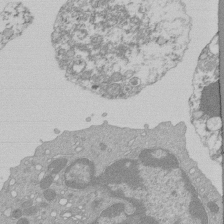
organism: Mouse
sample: Activated Pmel transgenic CD8+ T Cells